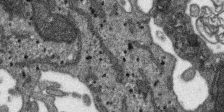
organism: Human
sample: Lung epithelial cells infected with SARS-CoV-2